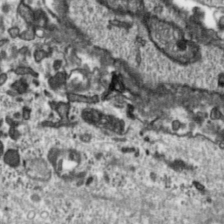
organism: Toxoplasma gondii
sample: Parasites in a vacuole inside a host cell